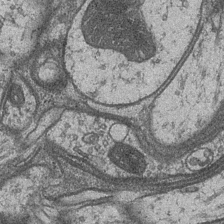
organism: Drosophila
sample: Optic medulla